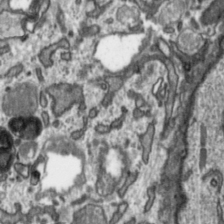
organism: Toxoplasma gondii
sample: Parasites in a vacuole inside a host cell